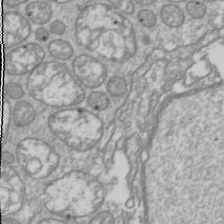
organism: Drosophila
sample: Cell division; meiosis; drosophila spermatocytes